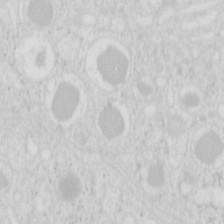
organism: Mouse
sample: Pancreas